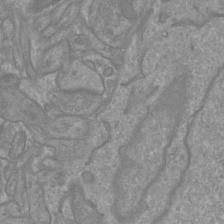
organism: Mouse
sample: Cortical neurons